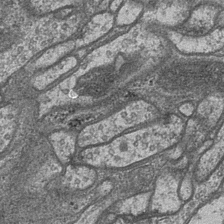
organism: Drosophila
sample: Optic medulla